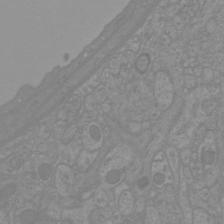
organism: Mouse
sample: Cortical neurons